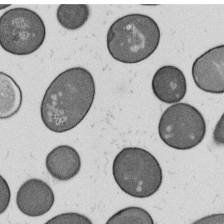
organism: B. subtilis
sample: Bacterial spore